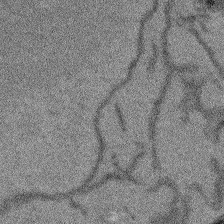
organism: Arabidopsis thaliana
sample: Root tip